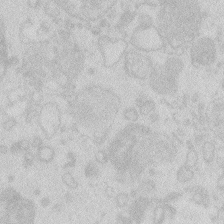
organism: Zebrafish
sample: Macrophage